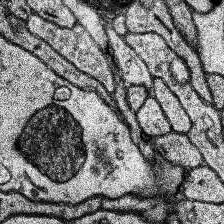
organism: Human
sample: Temporal Lobe